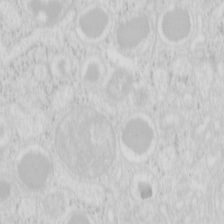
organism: Mouse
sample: Pancreas